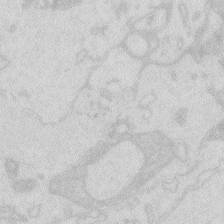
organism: Zebrafish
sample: Macrophage